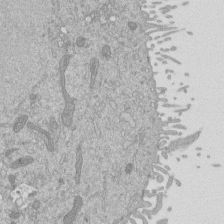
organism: Mouse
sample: ED-1 cell nuclei; centrioles